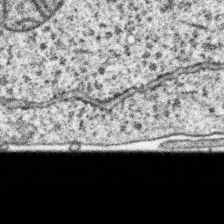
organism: Human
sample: HeLa cells